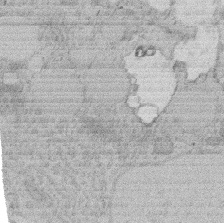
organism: Rat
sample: Salivary granule